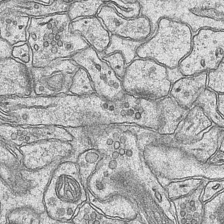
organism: Mouse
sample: CA1 Hippocampus